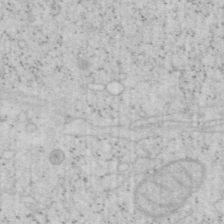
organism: Human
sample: HeLa cells